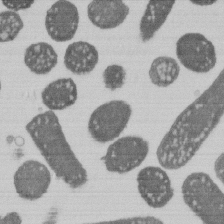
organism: E. coli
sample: Bacterial nucleoid